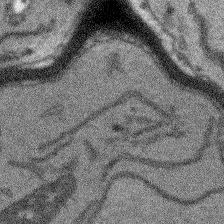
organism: Arabidopsis thaliana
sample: Root tip